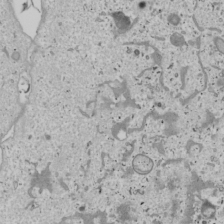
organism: Human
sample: Mitochondria in U2OS cells